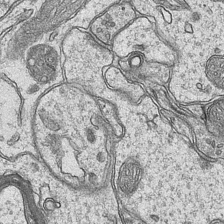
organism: Mouse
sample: CA1 Hippocampus